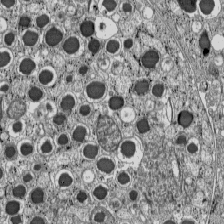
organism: C57BL Mouse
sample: Pancreatic islet